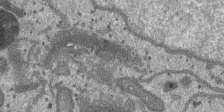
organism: Human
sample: Lung epithelial cells infected with SARS-CoV-2